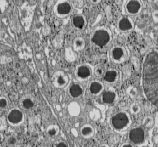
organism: C57BL Mouse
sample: Pancreatic islet